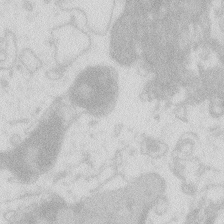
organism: Zebrafish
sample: Macrophage